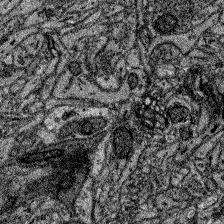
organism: Zebrafish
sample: Larval olfactory bulb